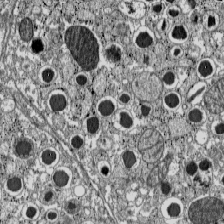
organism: C57BL Mouse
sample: Pancreatic islet